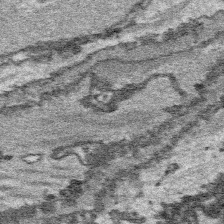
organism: Platynereis dumerilii